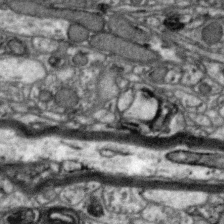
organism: Zebra finch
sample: Brain